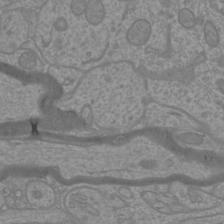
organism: Mouse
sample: Cortical neurons